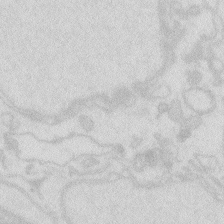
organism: Zebrafish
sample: Macrophage